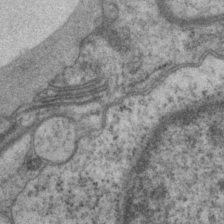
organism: P. pacificus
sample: Pharynx